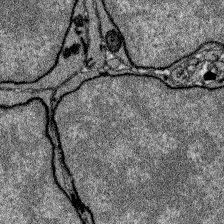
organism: Zebrafish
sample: Larval olfactory bulb